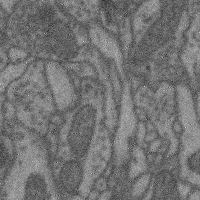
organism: Mouse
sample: Cerebral cortex